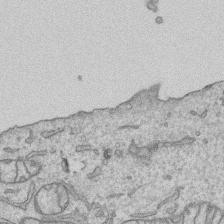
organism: Human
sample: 1205lu cells